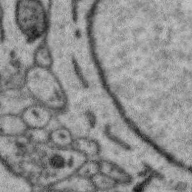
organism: Zebra finch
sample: Brain